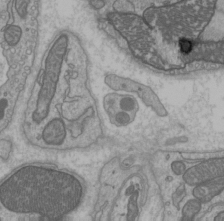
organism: C57BL Mouse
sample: Heart